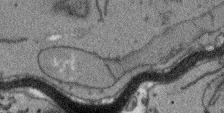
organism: Arabidopsis thaliana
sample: Root tip